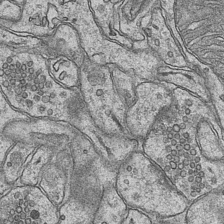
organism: Mouse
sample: CA1 Hippocampus